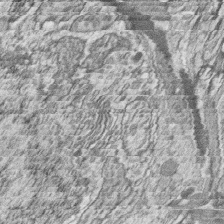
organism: Zebrafish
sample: synaptic ribbons in rod cells and cone cells